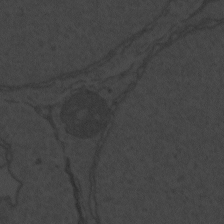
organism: Zebrafish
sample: Macrophage infected with Toxoplasma gondii